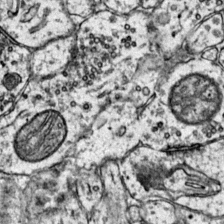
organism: Mouse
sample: Primary visual cortex